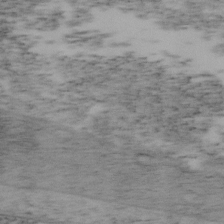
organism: Mouse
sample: OT-I killer T cells with ID8 ovarian cancer cells